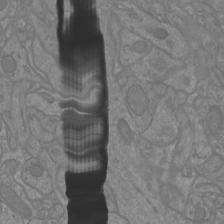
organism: Mouse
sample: Cortical neurons